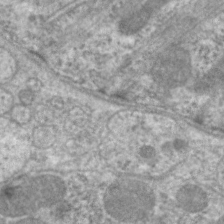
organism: C. elegans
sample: Pharynx